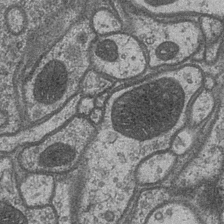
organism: Drosophila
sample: Optic medulla